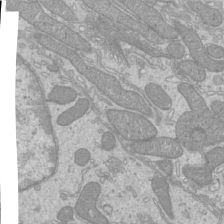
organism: Mouse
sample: Cilia; mouse epididymis